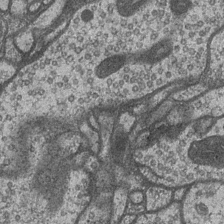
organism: Drosophila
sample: Optic medulla